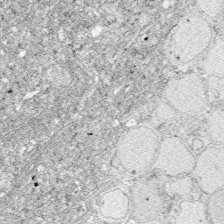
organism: Zebrafish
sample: Whole-Brain